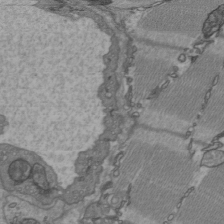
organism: C57BL Mouse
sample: Heart